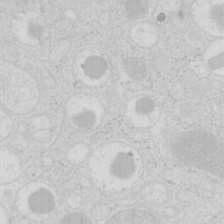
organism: Mouse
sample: Pancreas